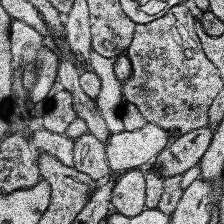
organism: Human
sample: Temporal Lobe